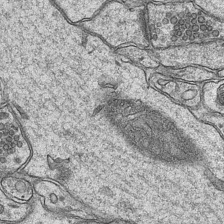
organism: Mouse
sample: CA1 Hippocampus